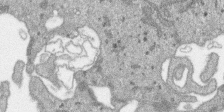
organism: Human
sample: Lung epithelial cells infected with SARS-CoV-2